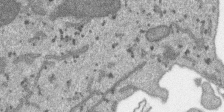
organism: Human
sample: Lung epithelial cells infected with SARS-CoV-2